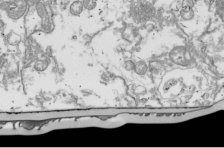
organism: Drosophila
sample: Cell division; meiosis; drosophila spermatocytes